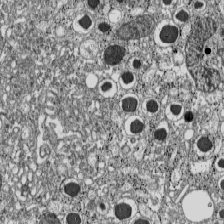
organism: C57BL Mouse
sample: Pancreatic islet